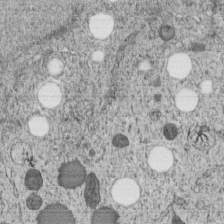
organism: C. elegans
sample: C. elegans embryo early stage